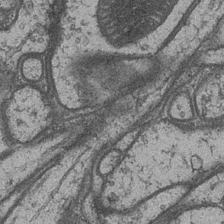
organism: Drosophila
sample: Optic medulla